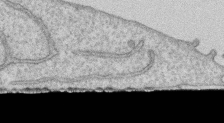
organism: Human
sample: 1205lu cells